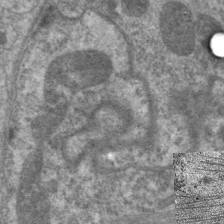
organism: C. elegans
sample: Pharynx